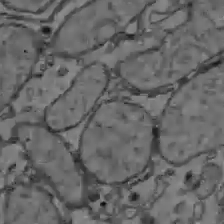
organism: C57BL Mouse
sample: Liver